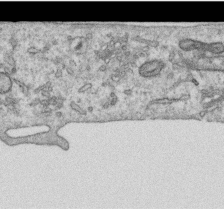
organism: Human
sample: Centriole in RPE cells